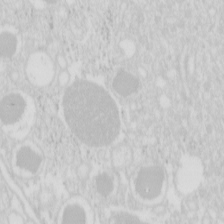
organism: Mouse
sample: Pancreas